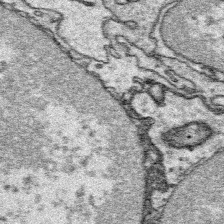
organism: Platynereis dumerilii